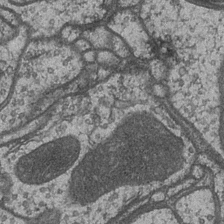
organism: Drosophila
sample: Optic medulla